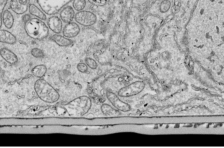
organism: Drosophila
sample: Cell division; meiosis; drosophila spermatocytes